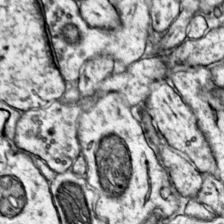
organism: Mouse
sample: Primary visual cortex